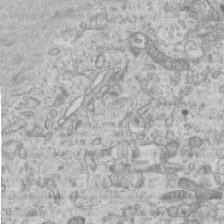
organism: Mouse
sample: Centriole in ependymal cells